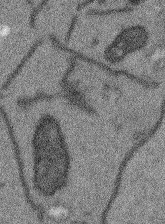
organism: Arabidopsis thaliana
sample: Root tip